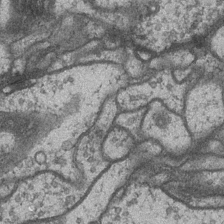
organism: Drosophila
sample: Optic medulla